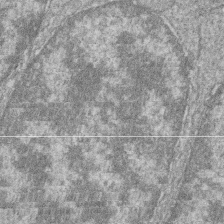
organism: Zebrafish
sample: Cilia; retinal pigment epithelium